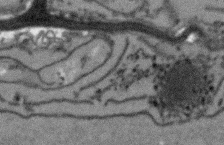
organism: Arabidopsis thaliana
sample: Root tip